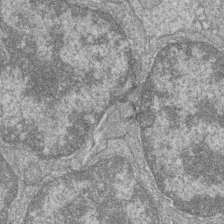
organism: Zebrafish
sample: Cilia; retinal pigment epithelium